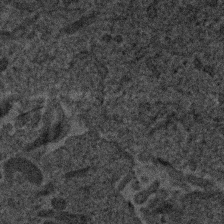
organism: Human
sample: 1205lu cells